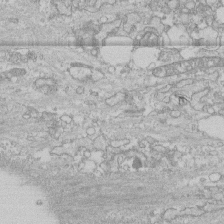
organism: Human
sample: CRL-1474